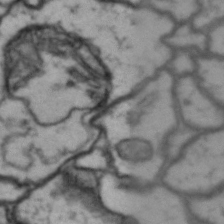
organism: Drosophila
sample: Brain